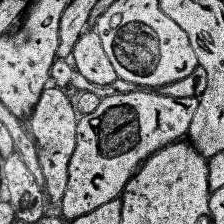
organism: Human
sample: Temporal Lobe